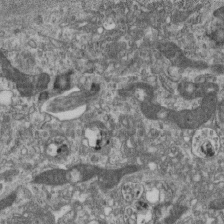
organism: Mouse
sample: Centriole in ependymal cells